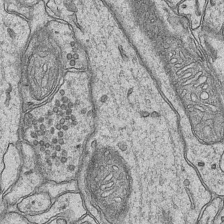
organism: Mouse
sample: CA1 Hippocampus